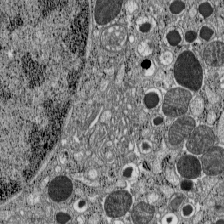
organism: C57BL Mouse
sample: Pancreatic islet